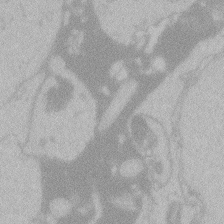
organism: Zebrafish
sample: Macrophage infected with Toxoplasma gondii